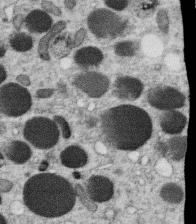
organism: C. elegans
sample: C. elegans oocyte; sperm cells